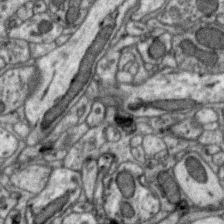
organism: Zebra finch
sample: Brain